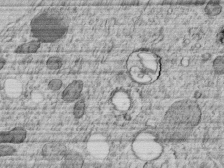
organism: C. elegans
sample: C. elegans embryo early stage